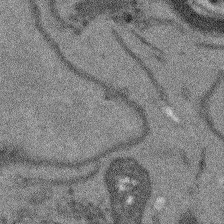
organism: Arabidopsis thaliana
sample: Root tip